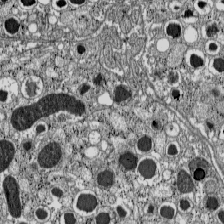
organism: C57BL Mouse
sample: Pancreatic islet